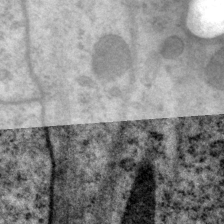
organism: P. pacificus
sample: Pharynx